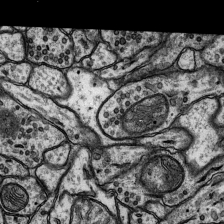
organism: Rat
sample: Hippocampus